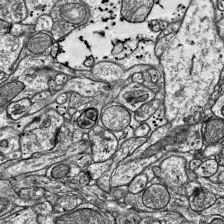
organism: Mouse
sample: Visual Cortex